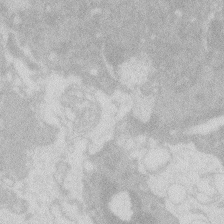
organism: Zebrafish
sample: Macrophage